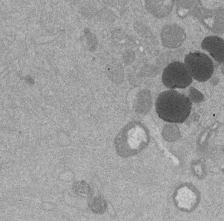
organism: Mouse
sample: Dividing mouse embryo 1 cell stage